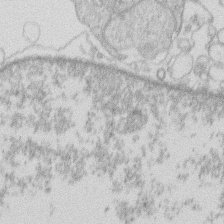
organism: Human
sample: Macrophage cells